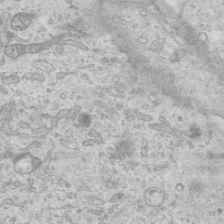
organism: Mouse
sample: Centriole in ependymal cells